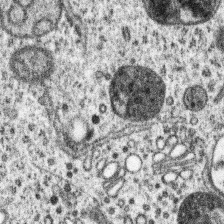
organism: Human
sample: HeLa cells